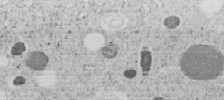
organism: C. elegans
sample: C. elegans embryo early stage